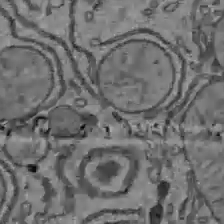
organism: C57BL Mouse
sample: Liver